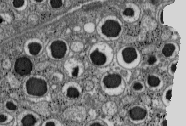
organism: C57BL Mouse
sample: Pancreatic islet